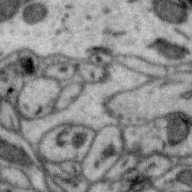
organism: Zebra finch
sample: Brain